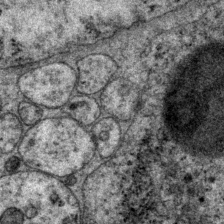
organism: P. pacificus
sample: Pharynx